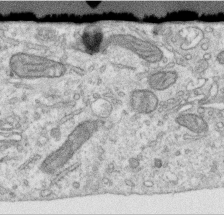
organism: Human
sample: Centriole in RPE cells